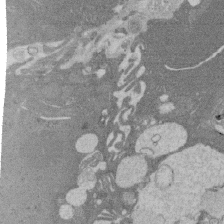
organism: Rat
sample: Salivary granule